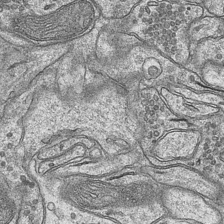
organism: Mouse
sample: CA1 Hippocampus